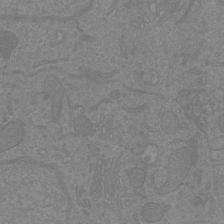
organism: Mouse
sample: Cortical neurons